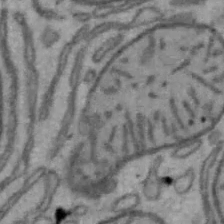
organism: Mouse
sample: Liver